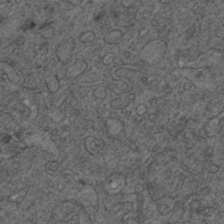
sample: Trachea